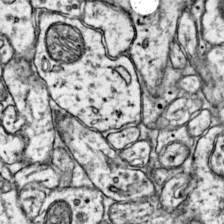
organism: Mouse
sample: Primary visual cortex